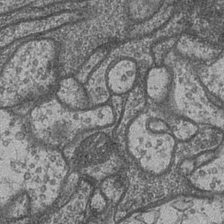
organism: Drosophila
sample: Optic medulla